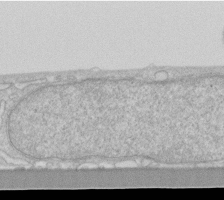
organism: Human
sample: Fibroblast cells